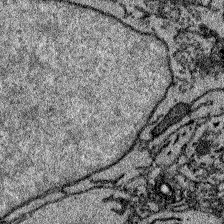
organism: Zebrafish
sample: Larval olfactory bulb